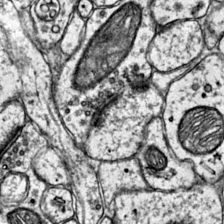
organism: Mouse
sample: Primary visual cortex